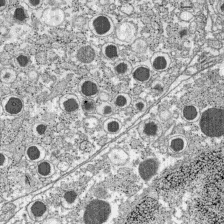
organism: C57BL Mouse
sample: Pancreatic islet